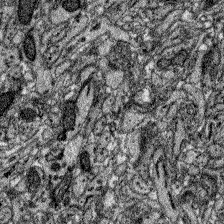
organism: Zebrafish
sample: Larval olfactory bulb